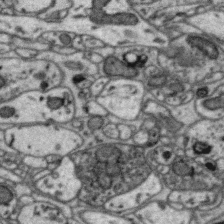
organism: Zebra finch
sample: Brain